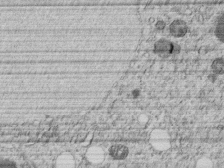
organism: C. elegans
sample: C. elegans embryo early stage